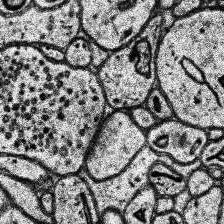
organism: Human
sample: Temporal Lobe